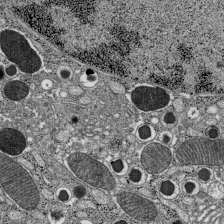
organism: C57BL Mouse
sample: Pancreatic islet